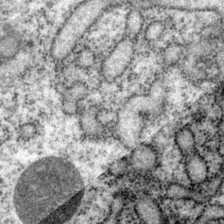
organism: P. pacificus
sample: Pharynx